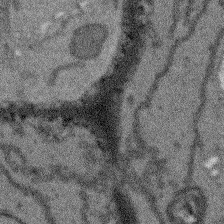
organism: Arabidopsis thaliana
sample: Root tip